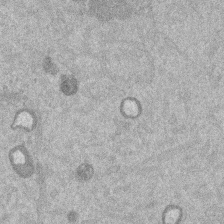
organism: Mouse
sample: Dividing mouse embryo 1 cell stage